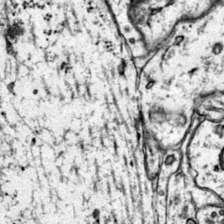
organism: Mouse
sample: Primary visual cortex